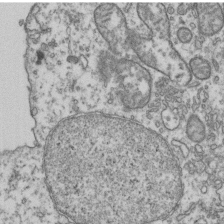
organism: Human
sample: Activated Jurkat CD4+ T cells